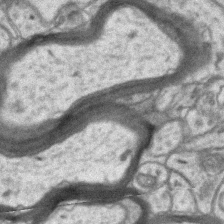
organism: Mouse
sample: CA1 Hippocampus